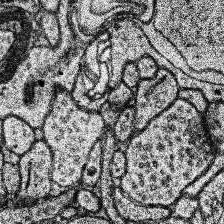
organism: Human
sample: Temporal Lobe